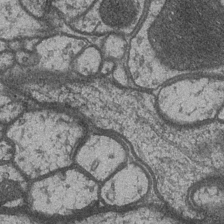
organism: Drosophila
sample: Optic medulla